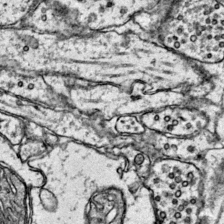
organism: Mouse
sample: Primary visual cortex